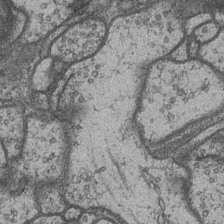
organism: Drosophila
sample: Optic medulla